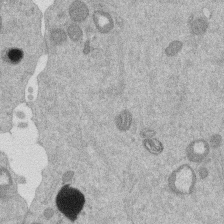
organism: Mouse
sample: Dividing mouse embryo 1 cell stage